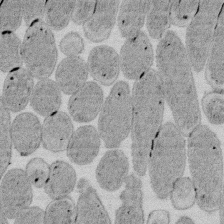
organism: E. coli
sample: Bacterial nucleoid